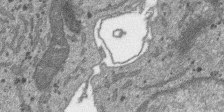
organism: Human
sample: Lung epithelial cells infected with SARS-CoV-2